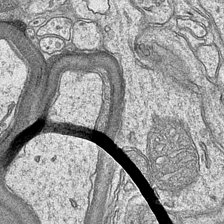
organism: Mouse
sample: CA1 Hippocampus